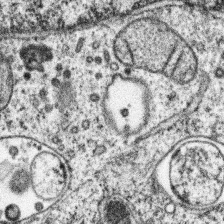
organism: Human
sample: HeLa cells